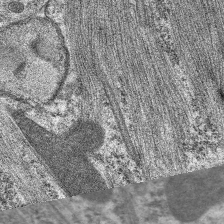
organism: C. elegans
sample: Pharynx